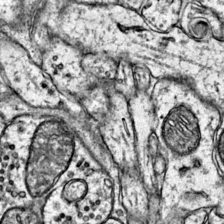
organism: Mouse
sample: Primary visual cortex